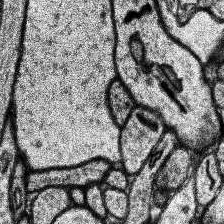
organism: Human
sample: Temporal Lobe